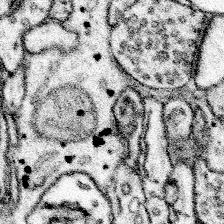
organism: Mouse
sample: Somatosensory cortex neuropil